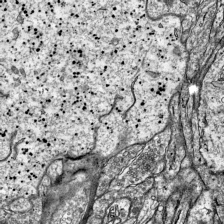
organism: Mouse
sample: Visual Cortex